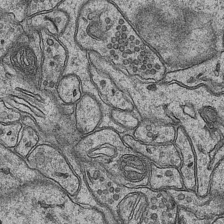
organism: Mouse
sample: CA1 Hippocampus